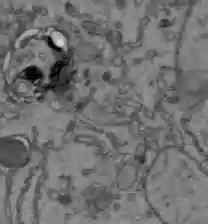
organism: C57BL Mouse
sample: Liver